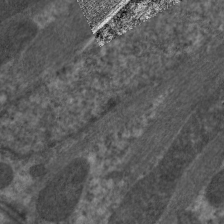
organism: C. elegans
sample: Pharynx